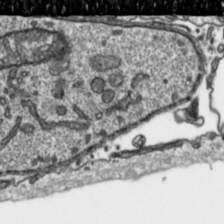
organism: Toxoplasma gondii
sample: Parasites in a vacuole inside a host cell